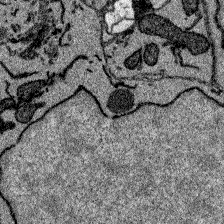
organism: Zebrafish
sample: Larval olfactory bulb